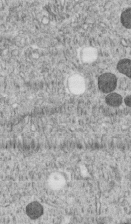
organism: C. elegans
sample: C. elegans embryo early stage